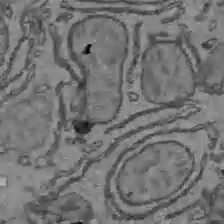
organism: C57BL Mouse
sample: Liver